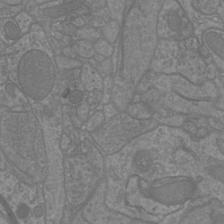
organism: Mouse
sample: Cortical neurons